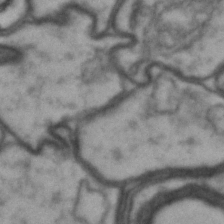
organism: Drosophila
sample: Brain